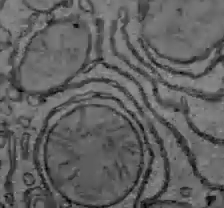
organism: C57BL Mouse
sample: Liver